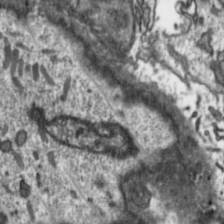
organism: Toxoplasma gondii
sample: Parasites in a vacuole inside a host cell